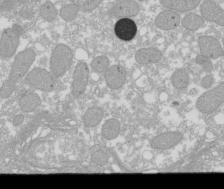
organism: Xenopus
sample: Cilia; centrioles in frog embryo cells